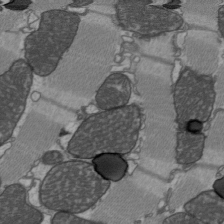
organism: C57BL Mouse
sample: Heart